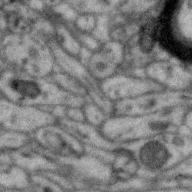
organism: Zebra finch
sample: Brain